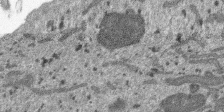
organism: Human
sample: Lung epithelial cells infected with SARS-CoV-2